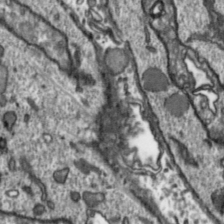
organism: Toxoplasma gondii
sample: Parasites in a vacuole inside a host cell